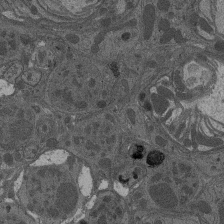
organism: Drosophila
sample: Antenna